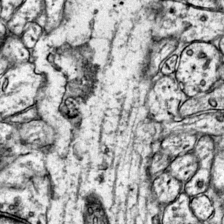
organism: Mouse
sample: Primary visual cortex